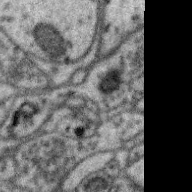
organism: Zebra finch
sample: Brain